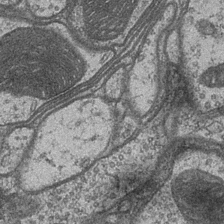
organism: Drosophila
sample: Optic medulla